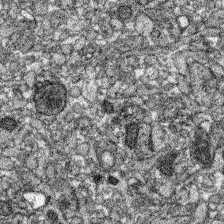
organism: Zebrafish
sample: Larval olfactory bulb